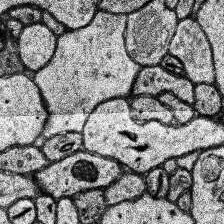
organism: Human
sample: Temporal Lobe